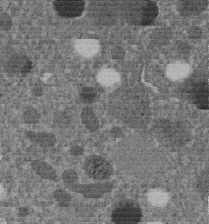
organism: C. elegans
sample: C. elegans embryo early stage